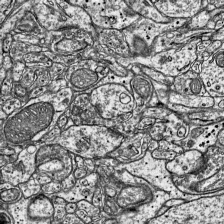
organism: Mouse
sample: Visual Cortex